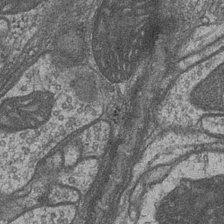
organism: Drosophila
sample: Optic medulla